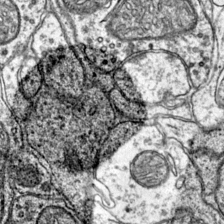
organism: Mouse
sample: Primary visual cortex